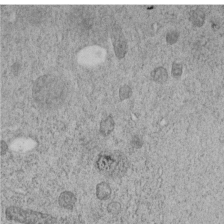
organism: C. elegans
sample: C. elegans embryo early stage